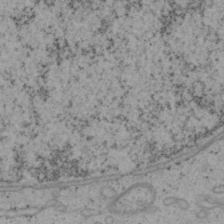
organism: Human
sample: HeLa cells